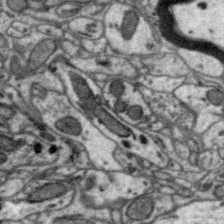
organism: Zebra finch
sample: Brain